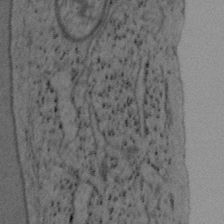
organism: Human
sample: HeLa cells